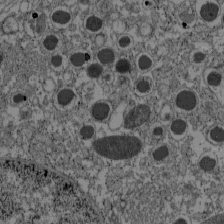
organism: C57BL Mouse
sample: Pancreatic islet